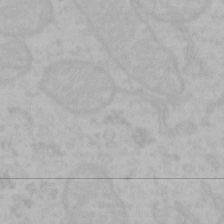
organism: Mouse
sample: Choroid plexus